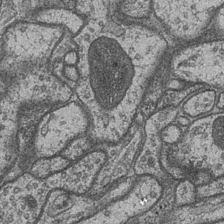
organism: Drosophila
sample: Optic medulla